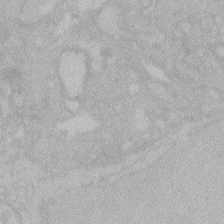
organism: Zebrafish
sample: Macrophage infected with Toxoplasma gondii